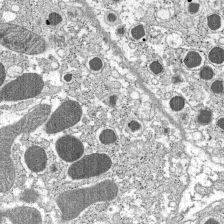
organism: C57BL Mouse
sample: Pancreatic islet